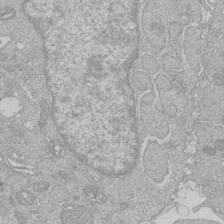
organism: Human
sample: Macrophage cells